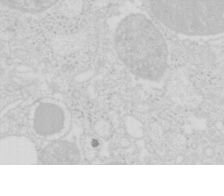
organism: Mouse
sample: Pancreas